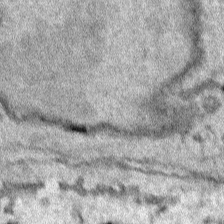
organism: Human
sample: Mitochondria in HCT116 cells